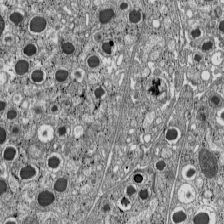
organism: C57BL Mouse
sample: Pancreatic islet